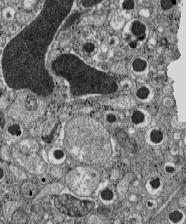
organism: C57BL Mouse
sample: Pancreatic islet